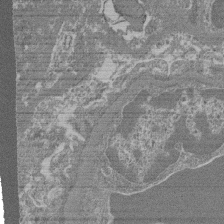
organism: Mouse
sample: Glomerulus